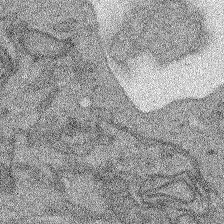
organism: Human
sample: HeLa cells